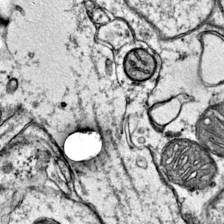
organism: Mouse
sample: Primary visual cortex